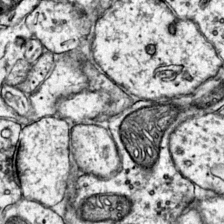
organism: Mouse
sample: Primary visual cortex